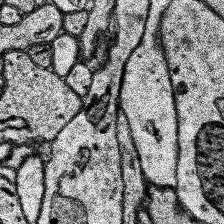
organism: Human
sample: Temporal Lobe